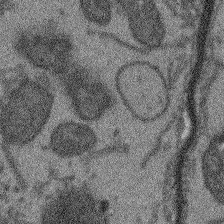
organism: Arabidopsis thaliana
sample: Root tip